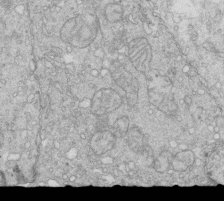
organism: Mouse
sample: Multiciliated cells